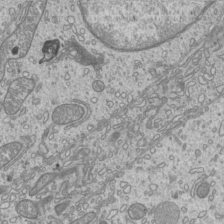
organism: Mouse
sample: Cilia; mouse epididymis